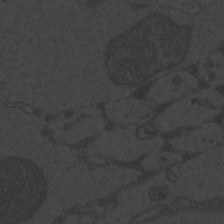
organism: Zebrafish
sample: Macrophage infected with Toxoplasma gondii